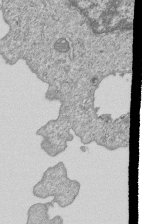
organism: Human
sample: MDA-MB-231 cells